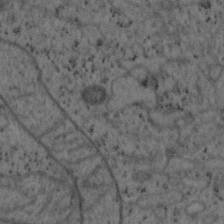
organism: Human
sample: HeLa cells